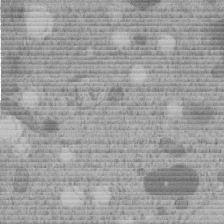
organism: C. elegans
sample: C. elegans embryo early stage